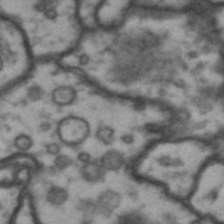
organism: Drosophila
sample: Brain